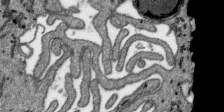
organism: Human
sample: Lung epithelial cells, uninfected (mock) control